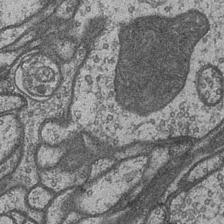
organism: Drosophila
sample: Optic medulla